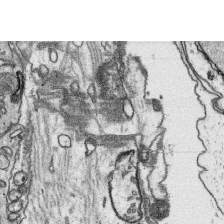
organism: Platynereis dumerilii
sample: Parapodia